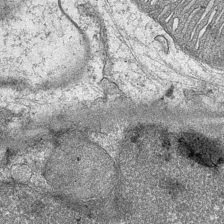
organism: Mouse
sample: CA1 Hippocampus